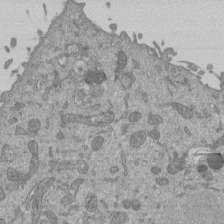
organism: Mouse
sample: ED-1 cell nuclei; centrioles